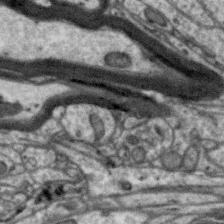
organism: Zebra finch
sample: Brain